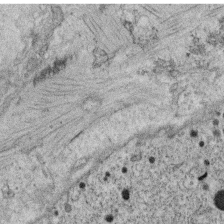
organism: C. elegans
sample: C. elegans oocyte; sperm cells